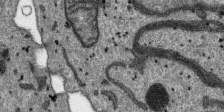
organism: Human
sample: Lung epithelial cells, uninfected (mock) control